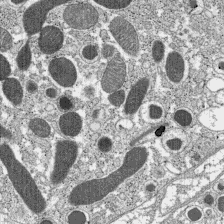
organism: C57BL Mouse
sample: Pancreatic islet